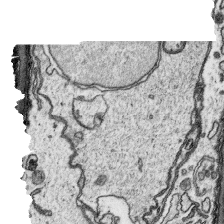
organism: Platynereis dumerilii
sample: Parapodia